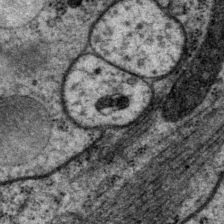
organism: P. pacificus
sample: Pharynx